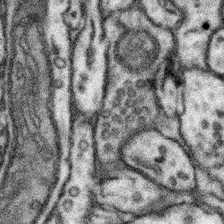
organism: Mouse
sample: Somatosensory cortex neuropil